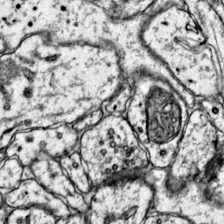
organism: Mouse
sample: Primary visual cortex